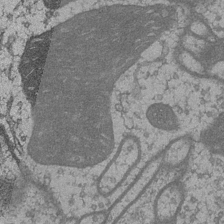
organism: Drosophila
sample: Optic medulla